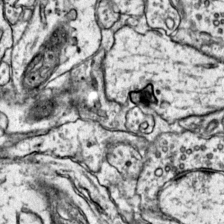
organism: Mouse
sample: Primary visual cortex